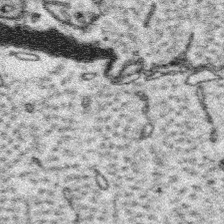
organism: Platynereis dumerilii